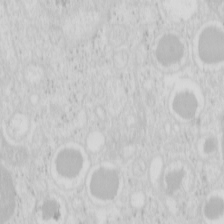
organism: Mouse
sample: Pancreas